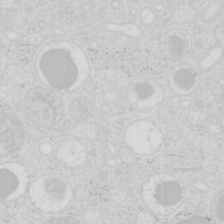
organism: Mouse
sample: Pancreas